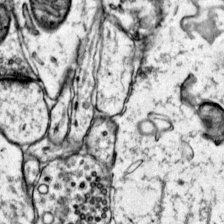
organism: Mouse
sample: Primary visual cortex